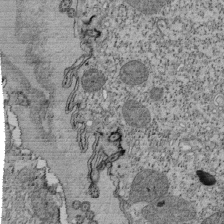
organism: Tetrahymena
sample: Cilia in tetrahymena